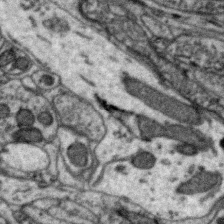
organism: Zebra finch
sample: Brain